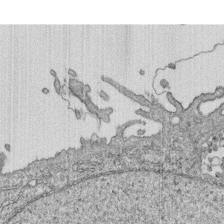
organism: Human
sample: HeLa cell HIV synapse